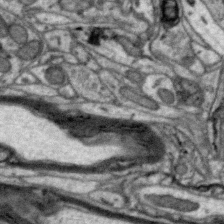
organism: Zebra finch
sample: Brain